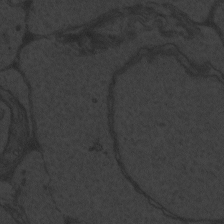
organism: Zebrafish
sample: Macrophage infected with Toxoplasma gondii